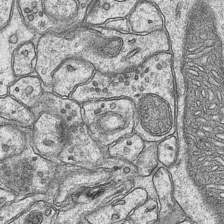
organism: Mouse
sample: CA1 Hippocampus